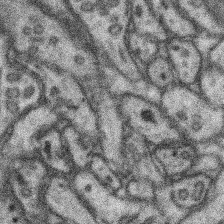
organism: Mouse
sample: Somatosensory cortex neuropil